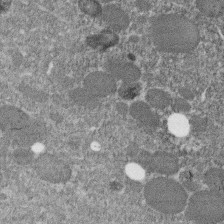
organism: C. elegans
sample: C. elegans embryo early stage